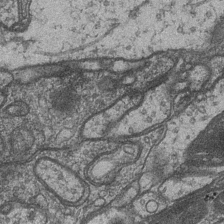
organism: Drosophila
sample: Optic medulla